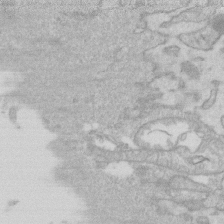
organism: Human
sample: Fibroblast cells